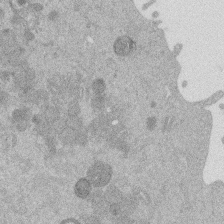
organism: Mouse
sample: Dividing mouse embryo 1 cell stage